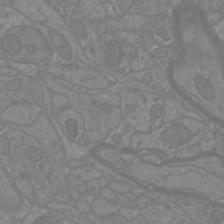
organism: Mouse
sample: Cortical neurons